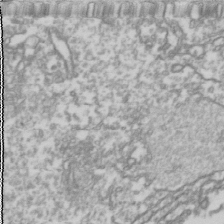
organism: Drosophila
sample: Cell division; meiosis; drosophila spermatocytes